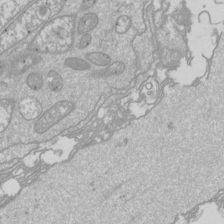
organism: Drosophila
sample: Cell division; meiosis; drosophila spermatocytes